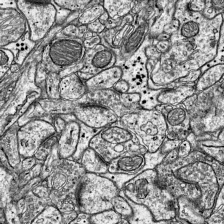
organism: Mouse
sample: Visual Cortex